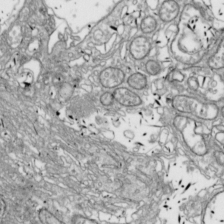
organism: Drosophila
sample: Cell division; meiosis; drosophila spermatocytes